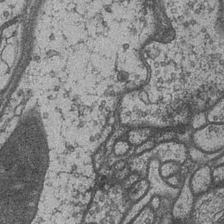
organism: Drosophila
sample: Optic medulla